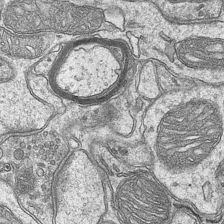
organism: Mouse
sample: CA1 Hippocampus